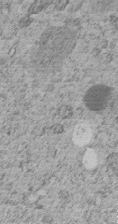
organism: C. elegans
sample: C. elegans embryo early stage